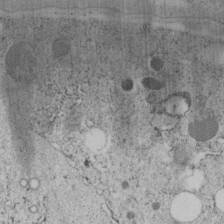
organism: C. elegans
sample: C. elegans embryo early stage